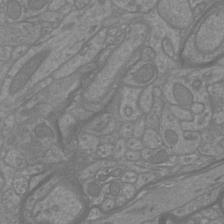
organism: Mouse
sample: Cortical neurons